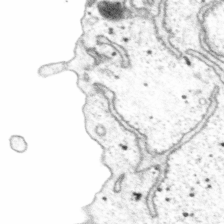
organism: Human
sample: HeLa cells